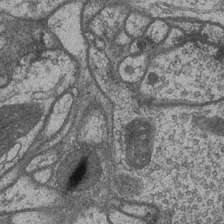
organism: Drosophila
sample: Optic medulla